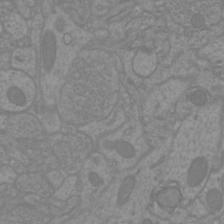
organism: Mouse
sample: Cortical neurons